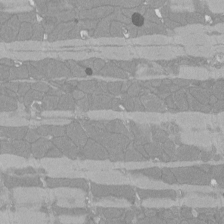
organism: Rat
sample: Left ventricle